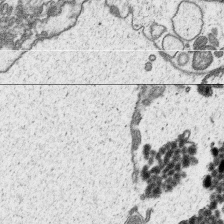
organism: Platynereis dumerilii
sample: Parapodia